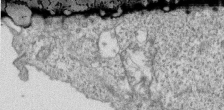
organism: Human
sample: HeLa cell HIV synapse